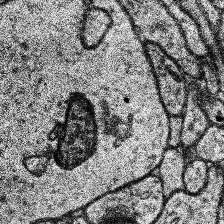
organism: Human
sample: Temporal Lobe